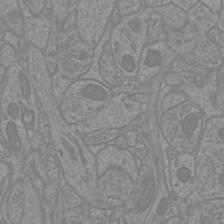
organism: Mouse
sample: Cortical neurons